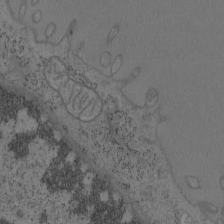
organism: Mouse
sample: OT-I killer T cells with ID8 ovarian cancer cells